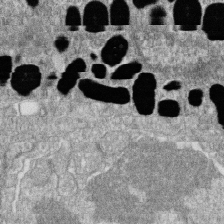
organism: Zebrafish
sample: Cilia; retinal pigment epithelium